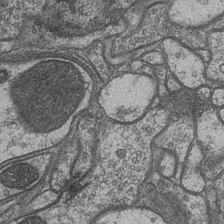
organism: Drosophila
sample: Optic medulla